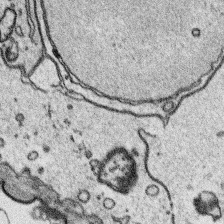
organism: Platynereis dumerilii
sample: Parapodia